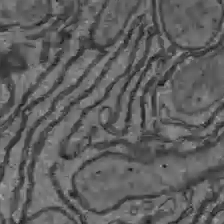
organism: C57BL Mouse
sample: Liver